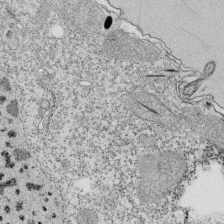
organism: Tetrahymena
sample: Cilia in tetrahymena